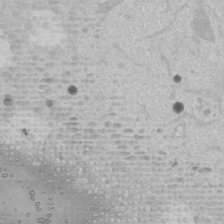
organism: Human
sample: Mitochondria in U2OS cells